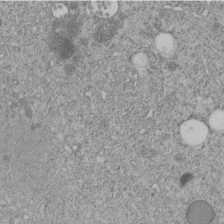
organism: C. elegans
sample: C. elegans embryo early stage